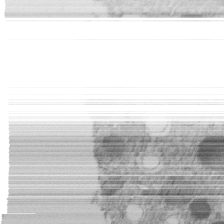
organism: C. elegans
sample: C. elegans embryo early stage